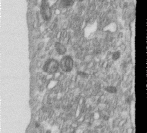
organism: Human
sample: Centriole in RPE cells